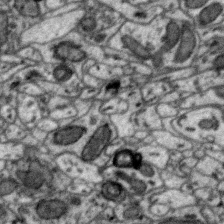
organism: Zebra finch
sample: Brain